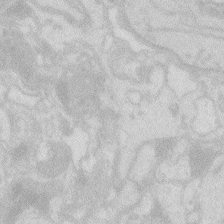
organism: Zebrafish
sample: Macrophage